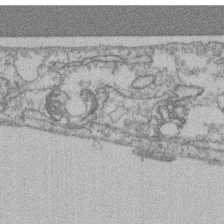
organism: Mouse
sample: T cell stromal cell synapse